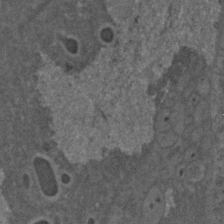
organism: C. elegans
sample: C. elegans embryo